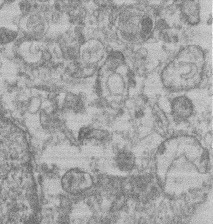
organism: Mouse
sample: T cell stromal cell synapse